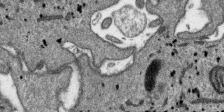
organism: Human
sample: Lung epithelial cells, uninfected (mock) control